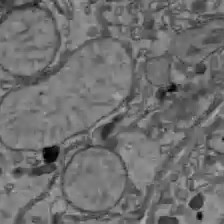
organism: C57BL Mouse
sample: Liver